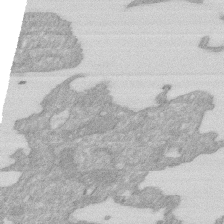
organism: Human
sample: HIV infected U937 cells